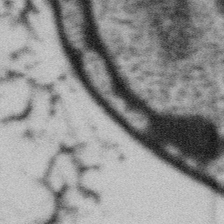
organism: Gemmata obscuriglobus